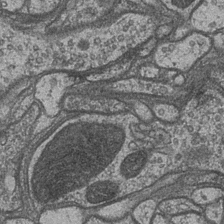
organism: Drosophila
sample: Optic medulla